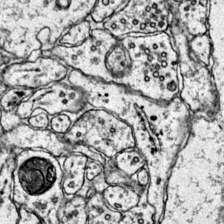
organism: Mouse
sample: Primary visual cortex